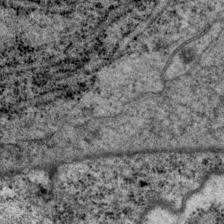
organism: P. pacificus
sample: Pharynx